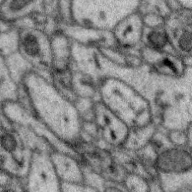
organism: Zebra finch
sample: Brain